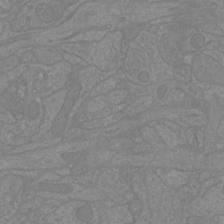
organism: Mouse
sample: Cortical neurons